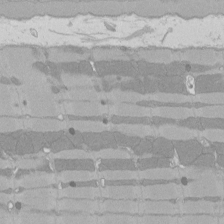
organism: Rat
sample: Left ventricle